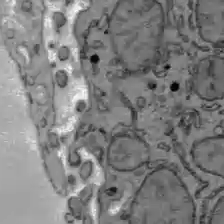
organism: C57BL Mouse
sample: Liver